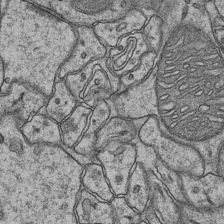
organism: Mouse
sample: CA1 Hippocampus